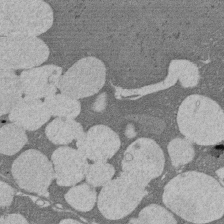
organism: Rat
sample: Salivary granule